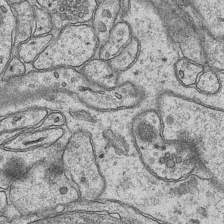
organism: Mouse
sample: CA1 Hippocampus